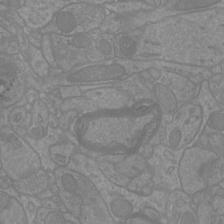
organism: Mouse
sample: Cortical neurons